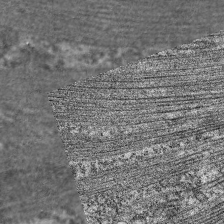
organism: C. elegans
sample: Pharynx